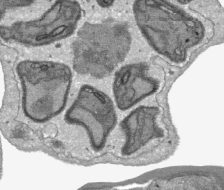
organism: Plasmodium falciparum